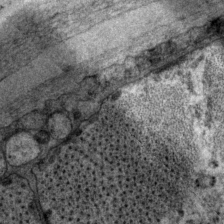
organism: P. pacificus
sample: Pharynx